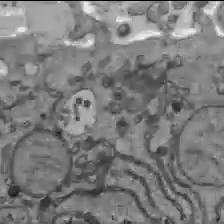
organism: C57BL Mouse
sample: Liver